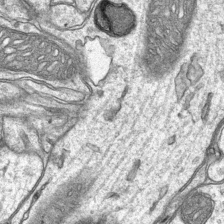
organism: Mouse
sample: CA1 Hippocampus